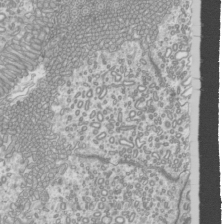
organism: Mouse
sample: Cilia; mouse epididymis